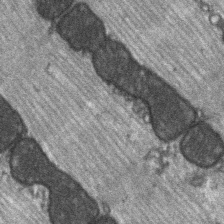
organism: C57BL Mouse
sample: Soleus